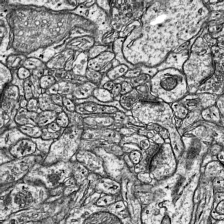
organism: Mouse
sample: Visual Cortex